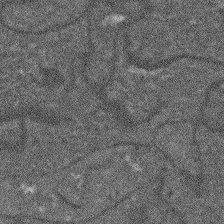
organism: Arabidopsis thaliana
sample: Root tip